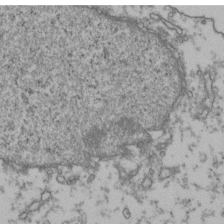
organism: Human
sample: Activated Jurkat CD4+ T cells